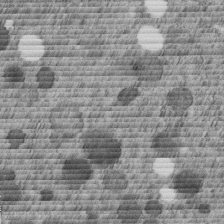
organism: C. elegans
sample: C. elegans embryo early stage